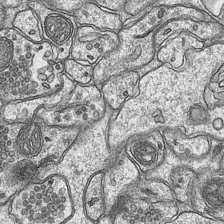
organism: Mouse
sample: CA1 Hippocampus